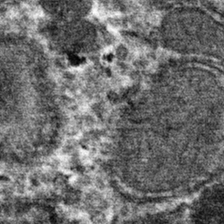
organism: Mouse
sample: Mouse hepatocytes